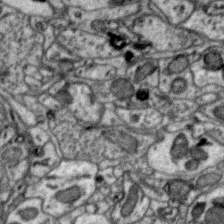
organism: Zebra finch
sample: Brain